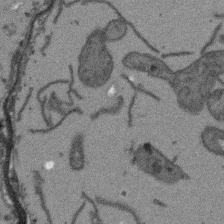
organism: Arabidopsis thaliana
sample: Root tip